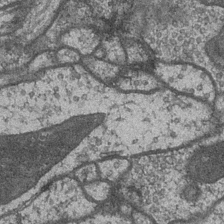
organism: Drosophila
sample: Optic medulla